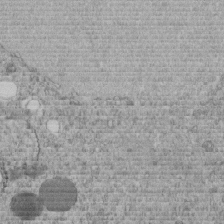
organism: C. elegans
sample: C. elegans embryo early stage